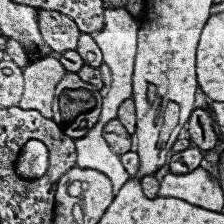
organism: Human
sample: Temporal Lobe